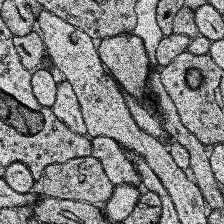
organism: Human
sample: Temporal Lobe